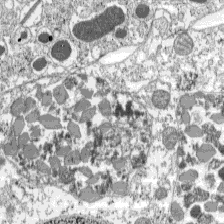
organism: C57BL Mouse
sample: Pancreatic islet